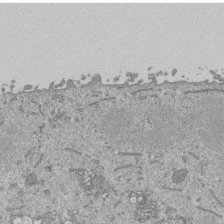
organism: Mouse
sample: ED-1 cell nuclei; centrioles